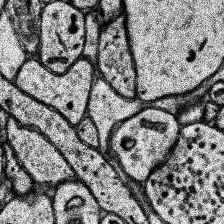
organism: Human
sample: Temporal Lobe